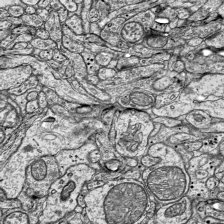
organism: Mouse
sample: Visual Cortex